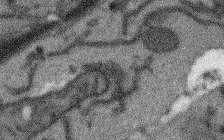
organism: Arabidopsis thaliana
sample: Root tip